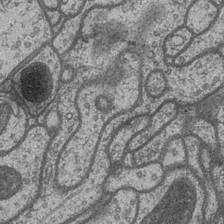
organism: Drosophila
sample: Optic medulla